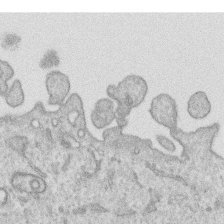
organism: Human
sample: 1205lu cells